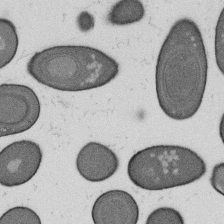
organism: B. subtilis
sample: Bacterial spore